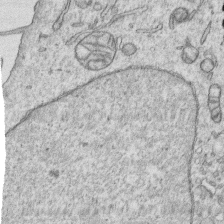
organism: Human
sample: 1205lu cells